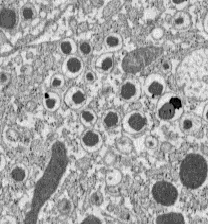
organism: C57BL Mouse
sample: Pancreatic islet